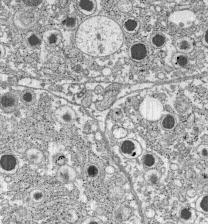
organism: C57BL Mouse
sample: Pancreatic islet